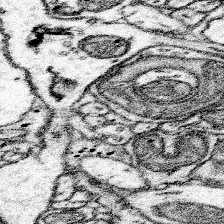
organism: Mouse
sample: Somatosensory cortex neuropil